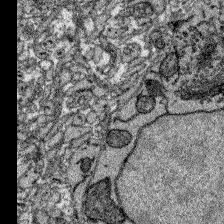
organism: Zebrafish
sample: Larval olfactory bulb